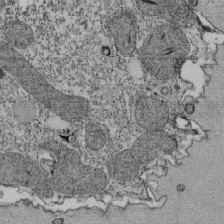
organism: Tetrahymena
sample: Cilia in tetrahymena